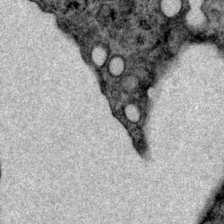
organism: P. pacificus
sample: Pharynx